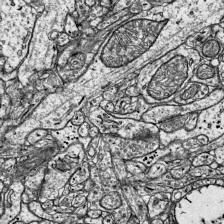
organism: Mouse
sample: Visual Cortex